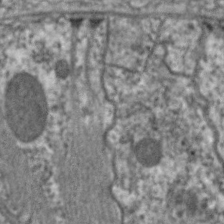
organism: C. elegans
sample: Pharynx